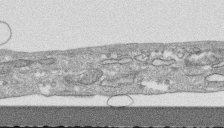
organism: Human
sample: CRL-1474